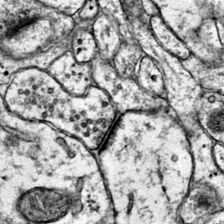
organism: Mouse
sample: Primary visual cortex